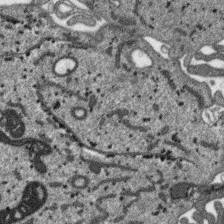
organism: Human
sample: Lung epithelial cells infected with SARS-CoV-2